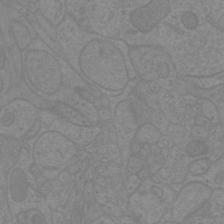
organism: Mouse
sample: Cortical neurons